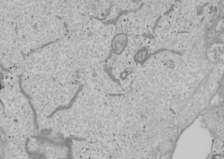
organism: Human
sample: Mitochondria in U2OS cells